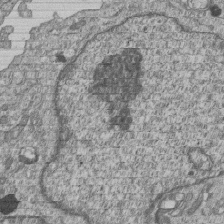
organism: Human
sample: MDA-MB-231 cells